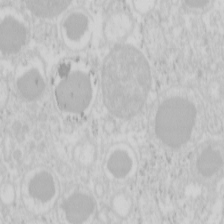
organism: Mouse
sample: Pancreas